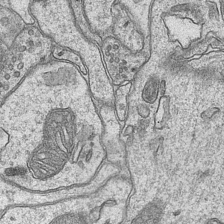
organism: Mouse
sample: CA1 Hippocampus